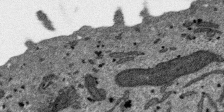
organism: Human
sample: Lung epithelial cells, uninfected (mock) control